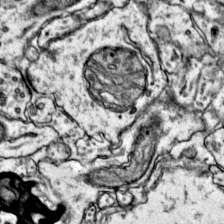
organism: Mouse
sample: Primary visual cortex